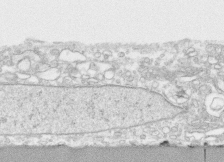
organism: Human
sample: CRL-1474